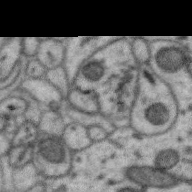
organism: Zebra finch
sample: Brain